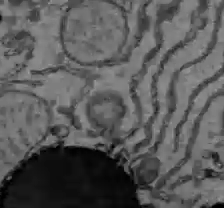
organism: C57BL Mouse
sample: Liver